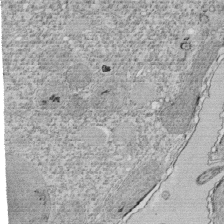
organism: Tetrahymena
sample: Cilia in tetrahymena